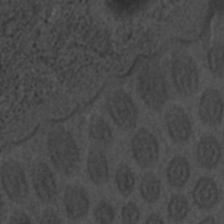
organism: C. elegans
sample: C. elegans embryo